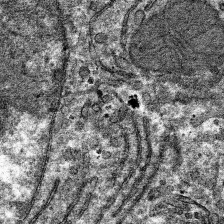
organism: Mouse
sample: Mouse hepatocytes